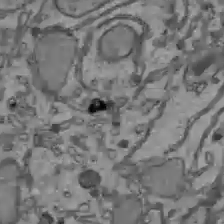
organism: C57BL Mouse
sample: Liver